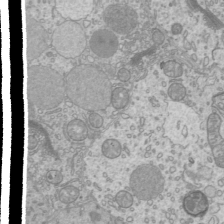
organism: Mouse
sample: Cilia; mouse epididymis